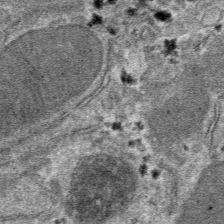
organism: Mouse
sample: Mouse hepatocytes